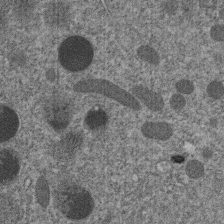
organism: C. elegans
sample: C. elegans embryo early stage